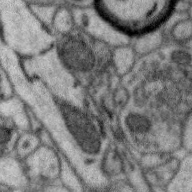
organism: Zebra finch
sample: Brain